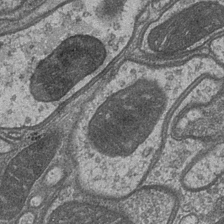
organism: Drosophila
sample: Optic medulla